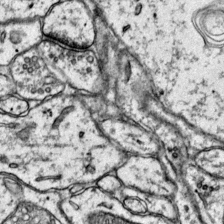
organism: Mouse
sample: Primary visual cortex